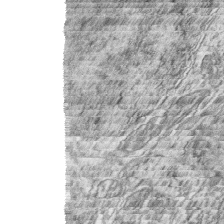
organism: Zebrafish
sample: synaptic ribbons in rod cells and cone cells